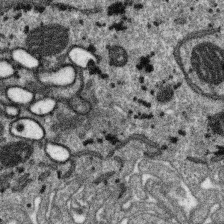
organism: Human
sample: Lung epithelial cells infected with SARS-CoV-2